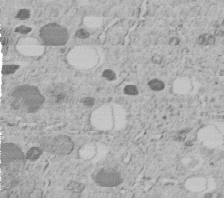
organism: C. elegans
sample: C. elegans embryo early stage